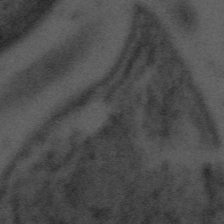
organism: Tuwongella immobilis